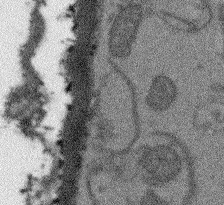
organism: Arabidopsis thaliana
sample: Root tip